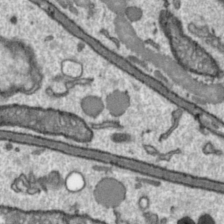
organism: Toxoplasma gondii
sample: Parasites in a vacuole inside a host cell